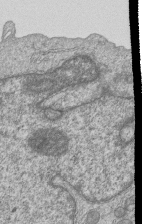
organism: Human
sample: MDA-MB-231 cells